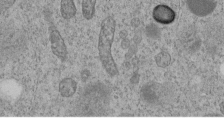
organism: C. elegans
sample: C. elegans embryo early stage